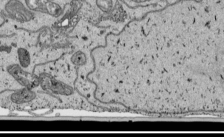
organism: Human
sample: Mitochondria in HCT116 cells